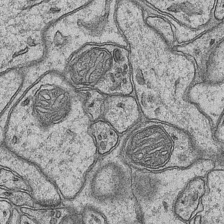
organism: Mouse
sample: CA1 Hippocampus